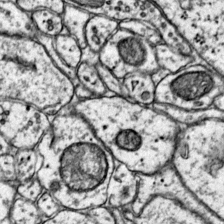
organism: Mouse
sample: Primary visual cortex